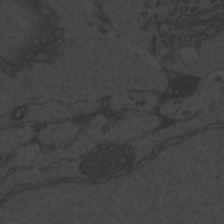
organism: Zebrafish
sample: Macrophage infected with Toxoplasma gondii